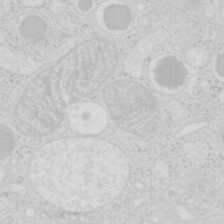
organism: Mouse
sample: Pancreas